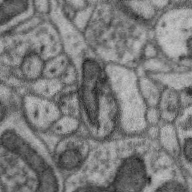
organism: Zebra finch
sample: Brain